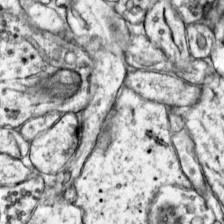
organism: Mouse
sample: Primary visual cortex